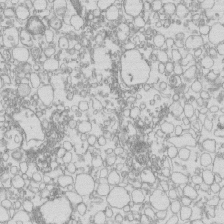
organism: Mouse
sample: Macrophages